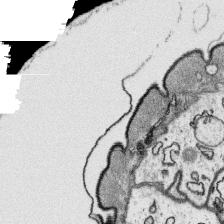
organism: Platynereis dumerilii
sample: Parapodia